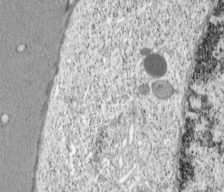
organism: African green monkey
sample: COS-7 cells